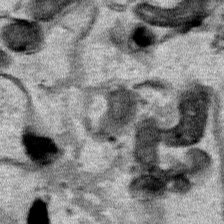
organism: Human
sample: Mitochondria in HCT116 cells